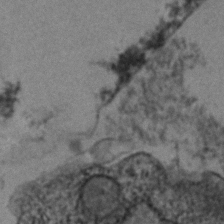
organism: Human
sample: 1205lu cells